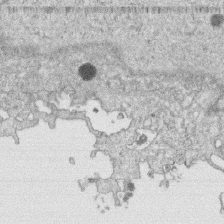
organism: Human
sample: HeLa cell HIV synapse